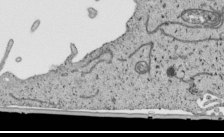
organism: Human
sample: Mitochondria in HCT116 cells